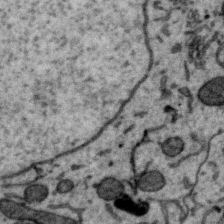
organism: Zebra finch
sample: Brain